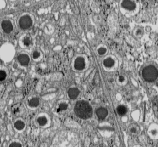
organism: C57BL Mouse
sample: Pancreatic islet